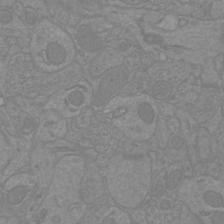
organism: Mouse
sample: Cortical neurons